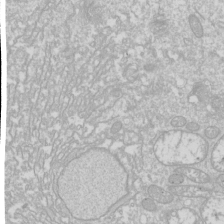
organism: Drosophila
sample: Cell division; meiosis; drosophila spermatocytes